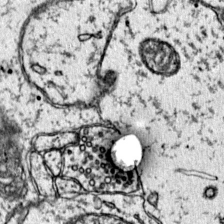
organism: Mouse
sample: Primary visual cortex